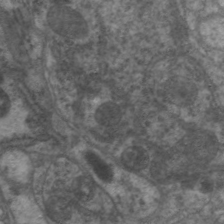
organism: C. elegans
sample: Pharynx